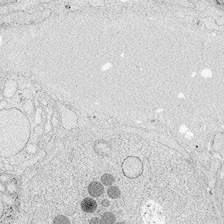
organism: Zebrafish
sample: Whole-Brain